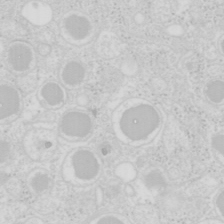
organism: Mouse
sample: Pancreas